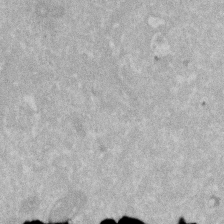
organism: Human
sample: HIV infected U937 cells